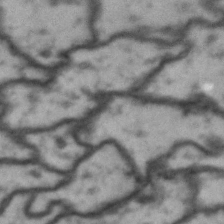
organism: Drosophila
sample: Brain